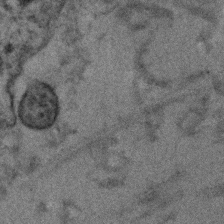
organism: Human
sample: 1205lu cells